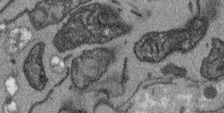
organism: Arabidopsis thaliana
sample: Root tip